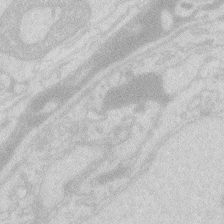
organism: Zebrafish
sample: Macrophage